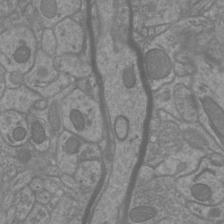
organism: Mouse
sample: Cortical neurons